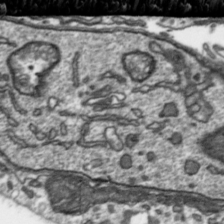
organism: Toxoplasma gondii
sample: Parasites in a vacuole inside a host cell